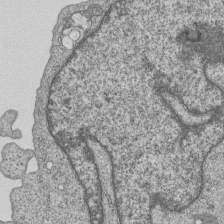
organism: Human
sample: MDA-MB-231 cells